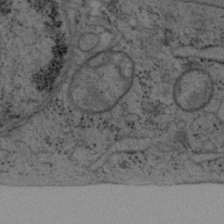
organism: Human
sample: HeLa cells